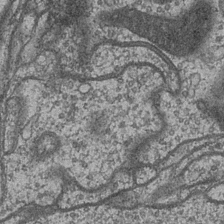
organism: Drosophila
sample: Optic medulla